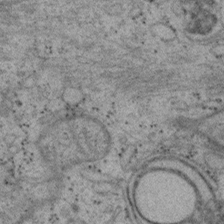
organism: Human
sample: HeLa cells